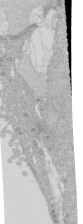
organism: Human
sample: Caco-2 cells